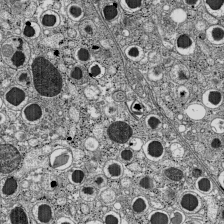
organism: C57BL Mouse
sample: Pancreatic islet